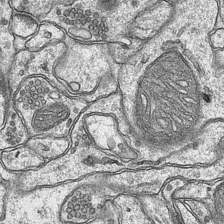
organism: Mouse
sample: CA1 Hippocampus